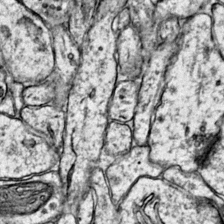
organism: Mouse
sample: Primary visual cortex